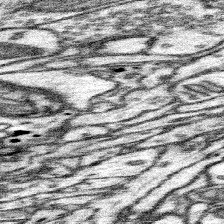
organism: Mouse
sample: Somatosensory cortex neuropil